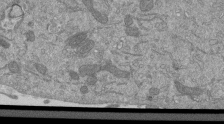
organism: Mouse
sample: ED-1 cell nuclei; centrioles